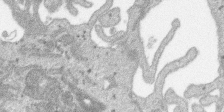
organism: Human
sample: Lung epithelial cells infected with SARS-CoV-2